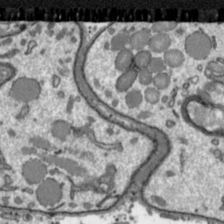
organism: Toxoplasma gondii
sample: Parasites in a vacuole inside a host cell